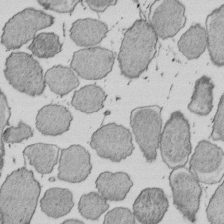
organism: E. coli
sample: Bacterial nucleoid